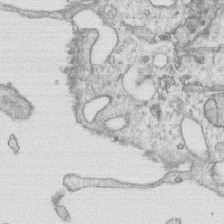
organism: Human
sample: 1205lu cells